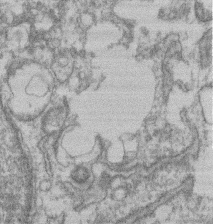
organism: Mouse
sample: T cell stromal cell synapse